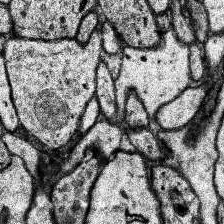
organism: Human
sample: Temporal Lobe